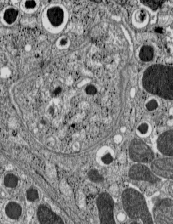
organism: C57BL Mouse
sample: Pancreatic islet